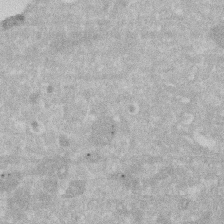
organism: Human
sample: HIV infected U937 cells